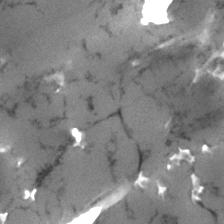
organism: Human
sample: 1205lu cells